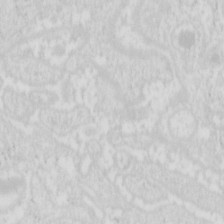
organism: Mouse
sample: Pancreas